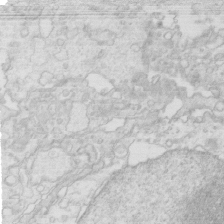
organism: Mouse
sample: Multiciliated cells